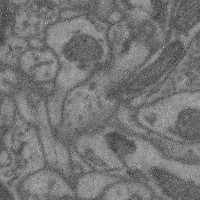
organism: Mouse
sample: Cerebral cortex